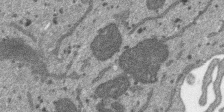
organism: Human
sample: Lung epithelial cells infected with SARS-CoV-2